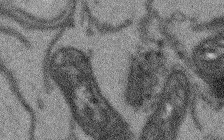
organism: Arabidopsis thaliana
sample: Root tip